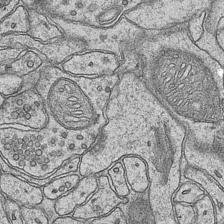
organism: Mouse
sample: CA1 Hippocampus